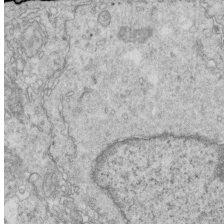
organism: Mouse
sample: Multiciliated cells